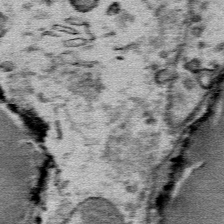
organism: Mouse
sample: Mouse Salivary gland